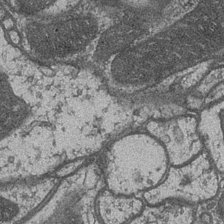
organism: Drosophila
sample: Optic medulla